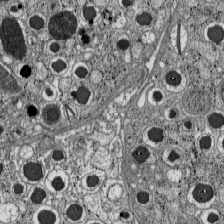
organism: C57BL Mouse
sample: Pancreatic islet